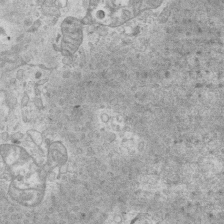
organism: Mouse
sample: Centriole in ependymal cells